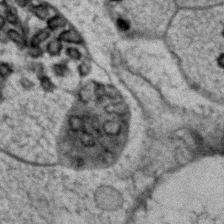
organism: Human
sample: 1205lu cells